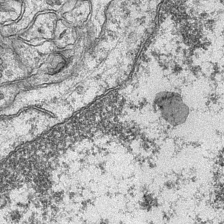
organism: Mouse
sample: CA1 Hippocampus